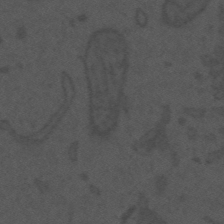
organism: Mouse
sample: Suprachiasmatic nucleus